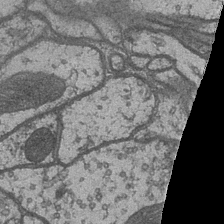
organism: Drosophila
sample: Optic medulla